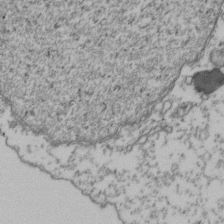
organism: Human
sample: Activated Jurkat CD4+ T cells